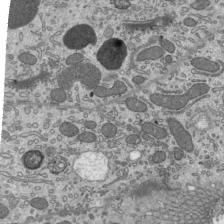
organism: Mouse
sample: Mouse epididymis efferent ductule cilia